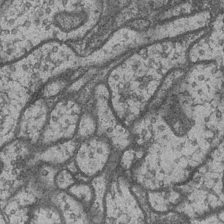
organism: Drosophila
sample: Optic medulla